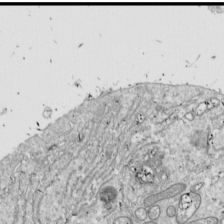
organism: Drosophila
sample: Cell division; meiosis; drosophila spermatocytes